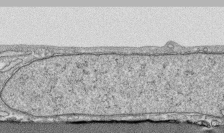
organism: Human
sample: CRL-1474